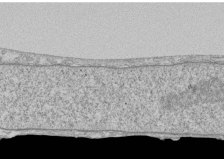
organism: Human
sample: CRL-1474